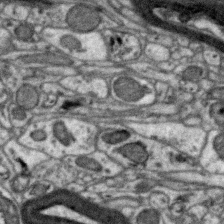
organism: Zebra finch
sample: Brain